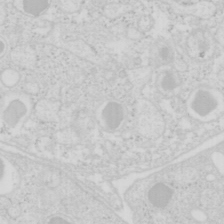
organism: Mouse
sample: Pancreas